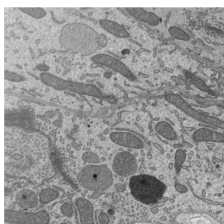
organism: Mouse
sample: Mouse epididymis efferent ductule cilia